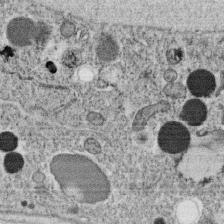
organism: C. elegans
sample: C. elegans oocyte; sperm cells